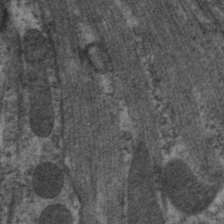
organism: C. elegans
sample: Pharynx